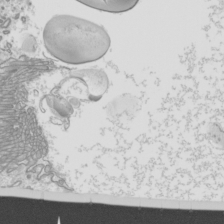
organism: Mouse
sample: Cilia; mouse epididymis